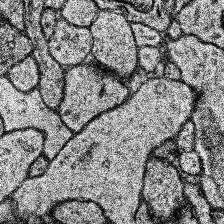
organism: Human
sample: Temporal Lobe